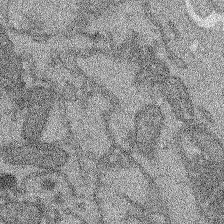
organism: Human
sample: HeLa cells